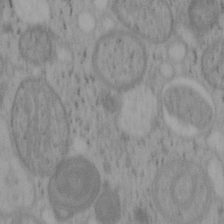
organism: Mouse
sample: OT-I killer T cells with ID8 ovarian cancer cells